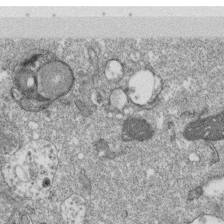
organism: African green monkey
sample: Vero E6 cells infected with SARS-CoV-2